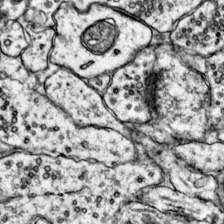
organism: Mouse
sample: Primary visual cortex